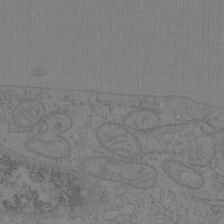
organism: Human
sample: HeLa cells